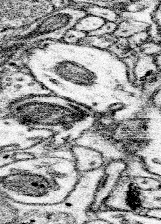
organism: Mouse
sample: Somatosensory cortex neuropil